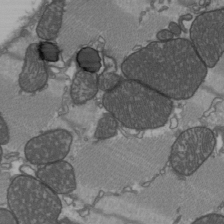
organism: C57BL Mouse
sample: Heart